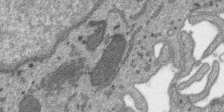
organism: Human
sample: Lung epithelial cells infected with SARS-CoV-2